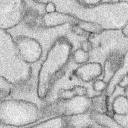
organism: Rabbit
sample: Retina